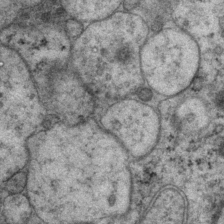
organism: P. pacificus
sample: Pharynx